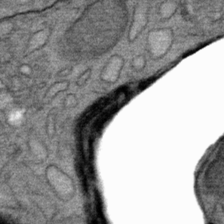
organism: Mouse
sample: Mouse Salivary gland